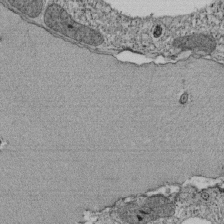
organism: Tetrahymena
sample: Cilia in tetrahymena